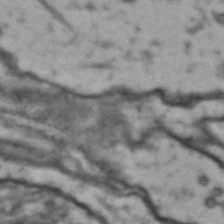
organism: Drosophila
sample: Brain